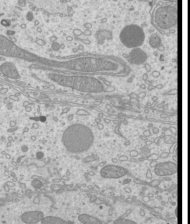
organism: Mouse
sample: Cilia; mouse epididymis